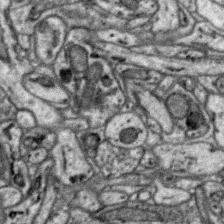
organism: Zebra finch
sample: Brain